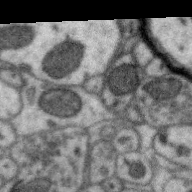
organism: Zebra finch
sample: Brain